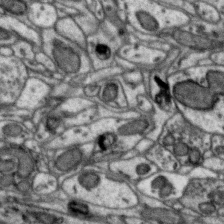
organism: Zebra finch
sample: Brain